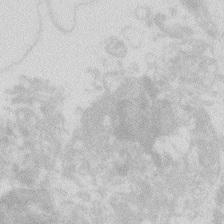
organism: Zebrafish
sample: Macrophage